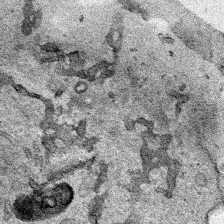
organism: Human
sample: Mitochondria in HCT116 cells